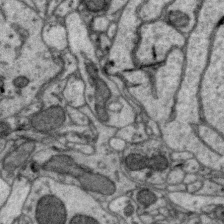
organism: Zebra finch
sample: Brain